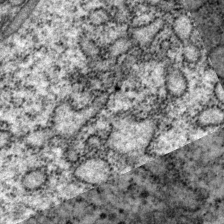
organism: P. pacificus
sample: Pharynx